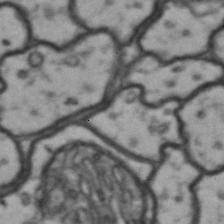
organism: Drosophila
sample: Brain